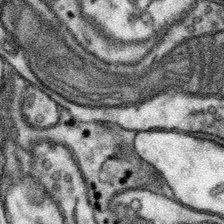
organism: Mouse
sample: Somatosensory cortex neuropil